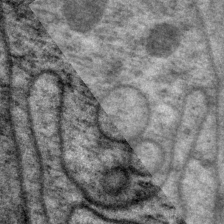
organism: P. pacificus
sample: Pharynx